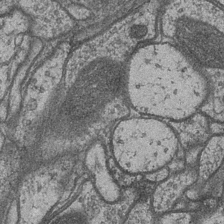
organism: Drosophila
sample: Optic medulla